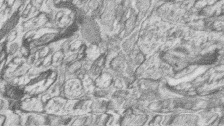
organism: Zebrafish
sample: synaptic ribbons in rod cells and cone cells